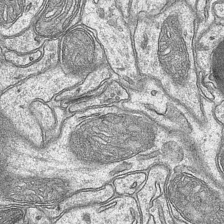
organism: Mouse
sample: CA1 Hippocampus